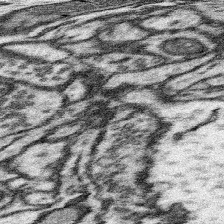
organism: Mouse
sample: Somatosensory cortex neuropil